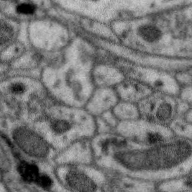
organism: Zebra finch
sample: Brain